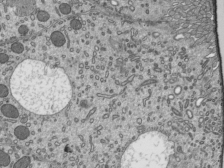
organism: Mouse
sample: Mouse epididymis efferent ductule cilia